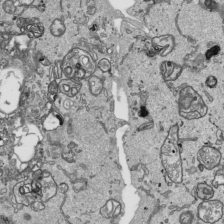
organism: Human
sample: Mitochondria in HCT116 cells